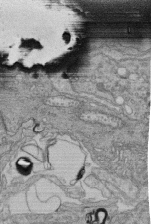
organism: Human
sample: Retinal organoid Rod and Cone cells